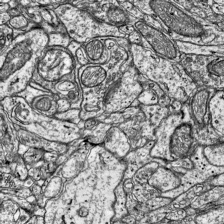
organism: Mouse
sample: Visual Cortex